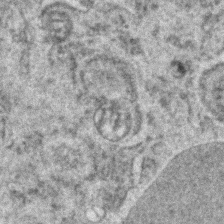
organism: Zebrafish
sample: Zebrafish embryo